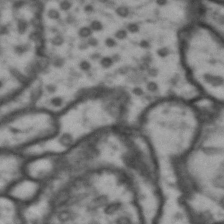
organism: Drosophila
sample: Brain